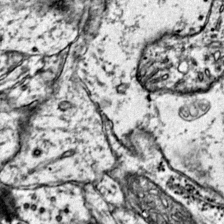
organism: Mouse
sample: Primary visual cortex